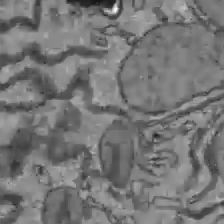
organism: C57BL Mouse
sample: Liver